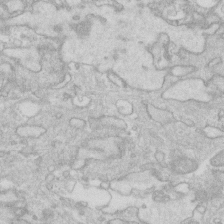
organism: Human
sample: Fibroblast cells